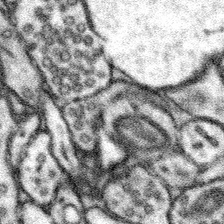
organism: Mouse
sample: Somatosensory cortex neuropil